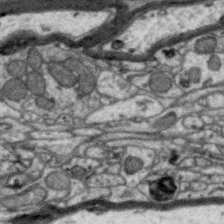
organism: Zebra finch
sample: Brain